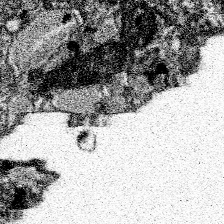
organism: Spongilla lacustris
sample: Neuroid cell